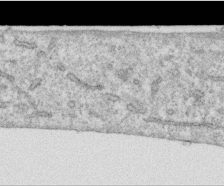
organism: Human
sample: Centriole in RPE cells